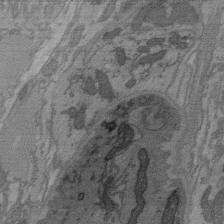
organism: C. elegans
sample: AFD neurons C. elegans